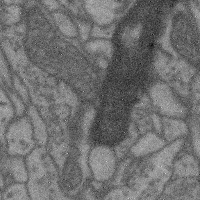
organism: Mouse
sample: Cerebral cortex